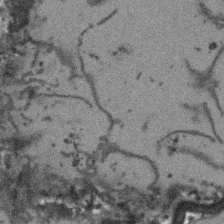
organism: Arabidopsis thaliana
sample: Root tip